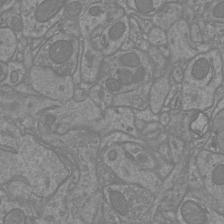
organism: Mouse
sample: Cortical neurons